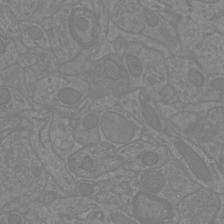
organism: Mouse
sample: Cortical neurons